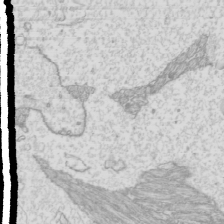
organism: Mouse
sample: Cilia; mouse epididymis